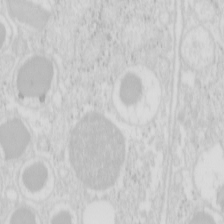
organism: Mouse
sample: Pancreas